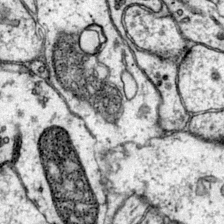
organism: Mouse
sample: Primary visual cortex